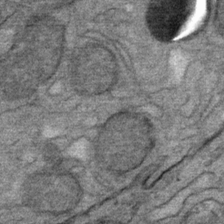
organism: Mouse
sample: Mouse Salivary gland